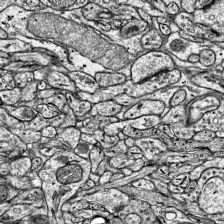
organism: Mouse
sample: Visual Cortex